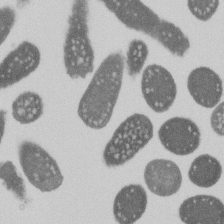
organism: E. coli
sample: Bacterial nucleoid